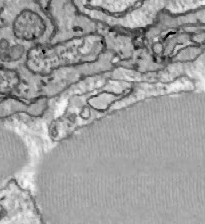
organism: Zebrafish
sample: Actinotrichia fibers